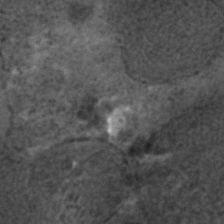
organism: C. elegans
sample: C. elegans embryo